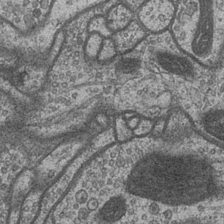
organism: Drosophila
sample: Optic medulla